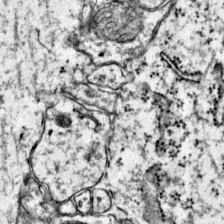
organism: Mouse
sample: Primary visual cortex